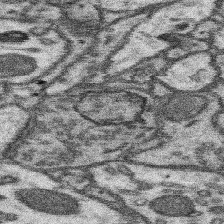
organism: Mouse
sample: Somatosensory cortex neuropil